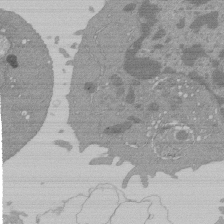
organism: Mouse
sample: Activated Pmel transgenic CD8+ T Cells